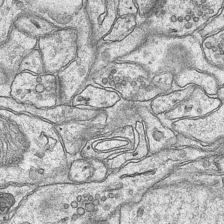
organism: Mouse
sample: CA1 Hippocampus